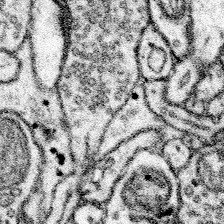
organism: Mouse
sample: Somatosensory cortex neuropil